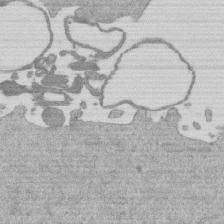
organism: Mouse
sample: Dividing mouse embryo 1 cell stage